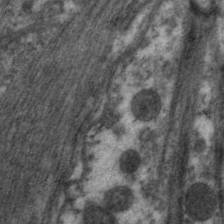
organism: C. elegans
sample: Pharynx